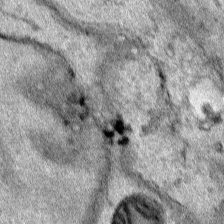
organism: Human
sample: Mitochondria in HCT116 cells